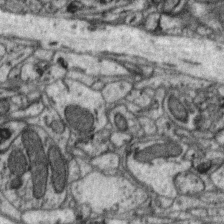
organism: Zebra finch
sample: Brain